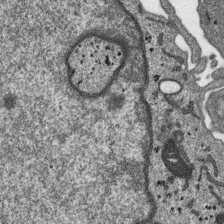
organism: Human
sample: Lung epithelial cells infected with SARS-CoV-2